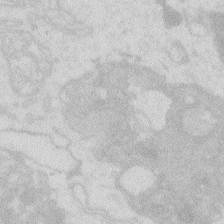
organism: Zebrafish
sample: Macrophage